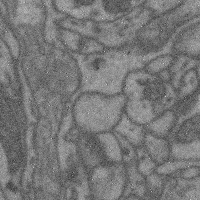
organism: Mouse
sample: Cerebral cortex